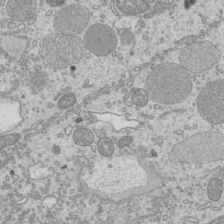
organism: Mouse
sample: Cilia; mouse epididymis